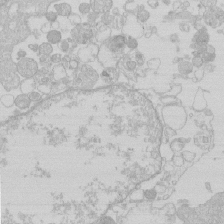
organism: Human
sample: Macrophage cells